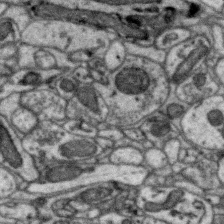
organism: Zebra finch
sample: Brain